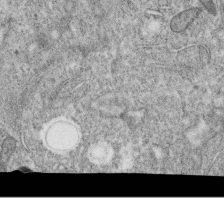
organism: C. elegans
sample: C. elegans oocyte; sperm cells